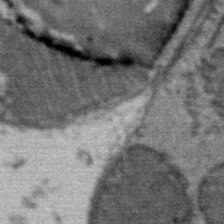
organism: Mouse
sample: Mouse Salivary gland